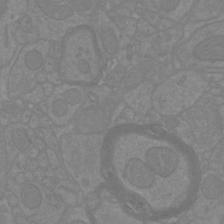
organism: Mouse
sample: Cortical neurons